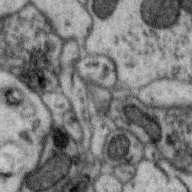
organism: Zebra finch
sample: Brain